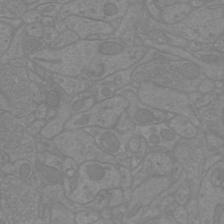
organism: Mouse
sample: Cortical neurons